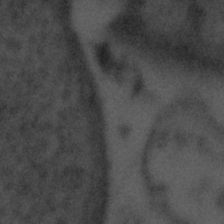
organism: Tuwongella immobilis